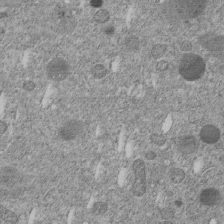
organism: C. elegans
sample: C. elegans embryo early stage